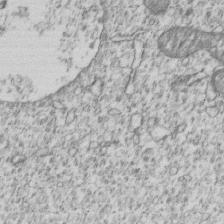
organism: Human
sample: MDA-MB-231 cells